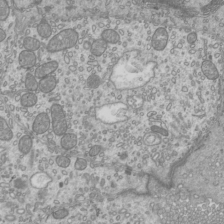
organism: Mouse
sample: Cilia; mouse epididymis